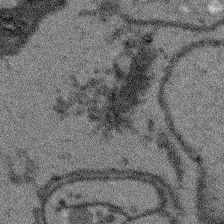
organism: Arabidopsis thaliana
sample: Root tip